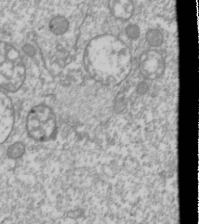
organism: Drosophila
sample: Cell division; meiosis; drosophila spermatocytes